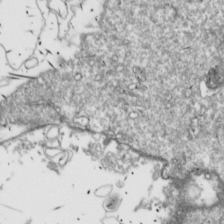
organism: Drosophila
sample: Cell division; meiosis; drosophila spermatocytes